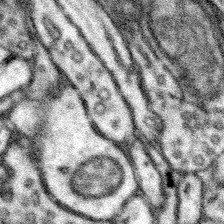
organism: Mouse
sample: Somatosensory cortex neuropil